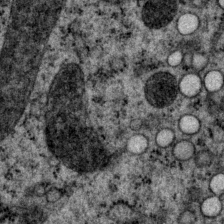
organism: P. pacificus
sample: Pharynx